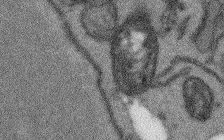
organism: Arabidopsis thaliana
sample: Root tip